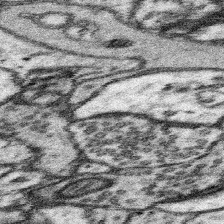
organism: Mouse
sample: Somatosensory cortex neuropil